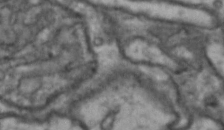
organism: Drosophila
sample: Brain